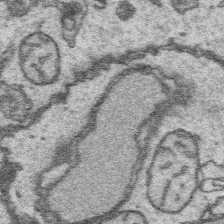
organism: Platynereis dumerilii